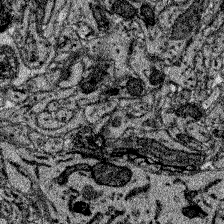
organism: Zebrafish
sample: Larval olfactory bulb